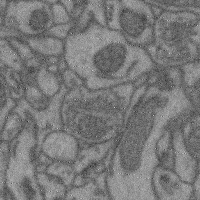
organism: Mouse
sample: Cerebral cortex